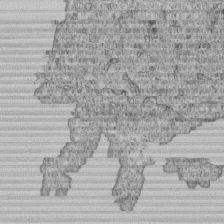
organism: Human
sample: MDA-MB-231 cells